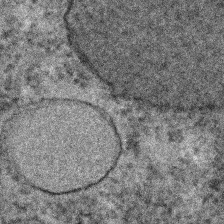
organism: C. elegans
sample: C. elegans embryo